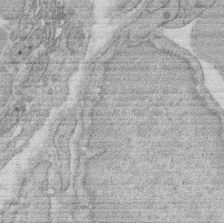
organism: Rat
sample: Salivary granule